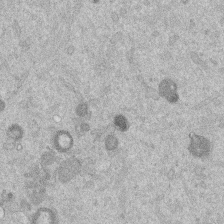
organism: Mouse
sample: Dividing mouse embryo 1 cell stage